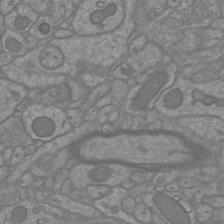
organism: Mouse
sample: Cortical neurons